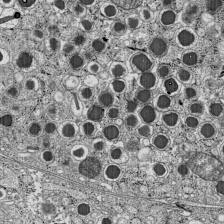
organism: C57BL Mouse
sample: Pancreatic islet